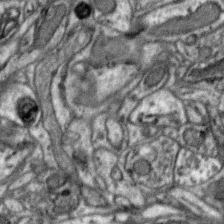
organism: Zebra finch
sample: Brain